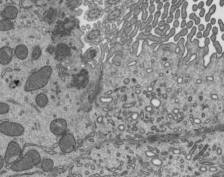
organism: Mouse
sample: Mouse epididymis efferent ductule cilia